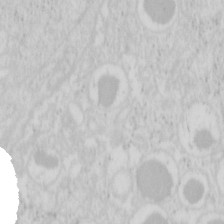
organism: Mouse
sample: Pancreas